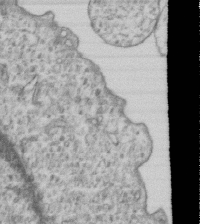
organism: Human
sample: MDA-MB-231 cells